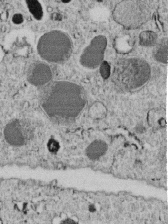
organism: C. elegans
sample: C. elegans embryo early stage